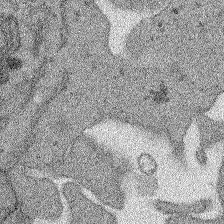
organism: Human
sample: HeLa cells